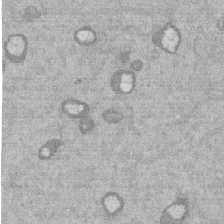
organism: Mouse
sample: Dividing mouse embryo 1 cell stage